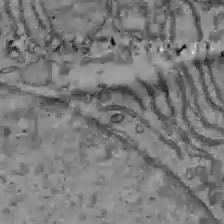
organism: C57BL Mouse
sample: Liver